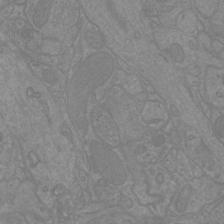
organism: Mouse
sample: Cortical neurons